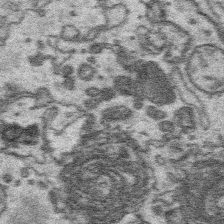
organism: Platynereis dumerilii